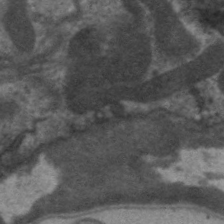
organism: C. elegans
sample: Pharynx